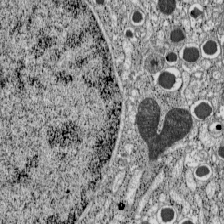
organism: C57BL Mouse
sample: Pancreatic islet